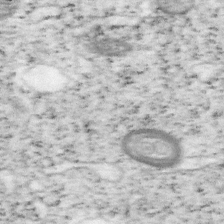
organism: Mouse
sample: OT-I killer T cells with ID8 ovarian cancer cells